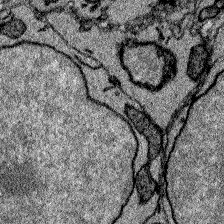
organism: Zebrafish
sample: Larval olfactory bulb